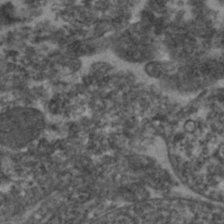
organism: Zebrafish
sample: Zebrafish embryo